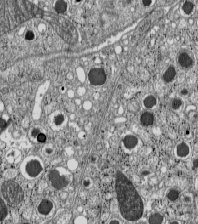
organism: C57BL Mouse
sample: Pancreatic islet